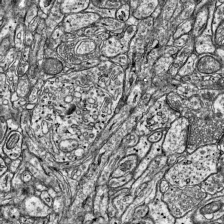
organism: Mouse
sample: Visual Cortex